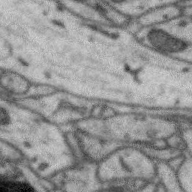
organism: Zebra finch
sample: Brain